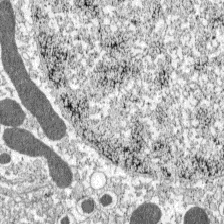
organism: C57BL Mouse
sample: Pancreatic islet